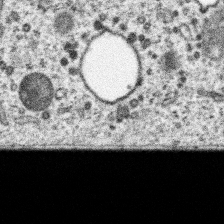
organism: Human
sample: HeLa cells